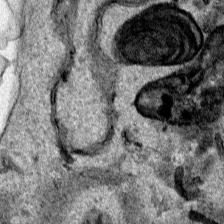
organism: Human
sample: Mitochondria in HCT116 cells